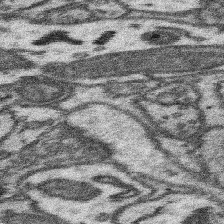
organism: Mouse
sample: Somatosensory cortex neuropil